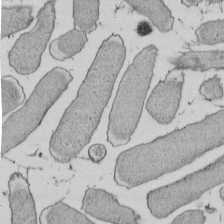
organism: E. coli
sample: Bacterial nucleoid